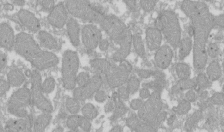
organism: Xenopus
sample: Cilia; centrioles in frog embryo cells